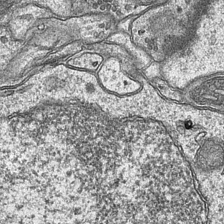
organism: Mouse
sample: CA1 Hippocampus